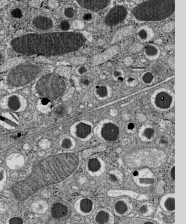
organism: C57BL Mouse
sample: Pancreatic islet